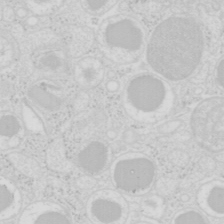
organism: Mouse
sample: Pancreas